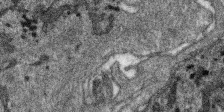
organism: Human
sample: Lung epithelial cells infected with SARS-CoV-2